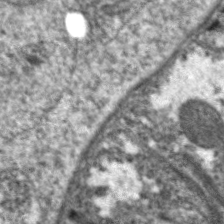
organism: C. elegans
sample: Pharynx